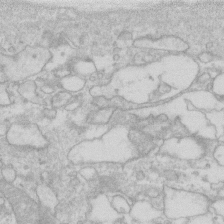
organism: Human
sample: Fibroblast cells